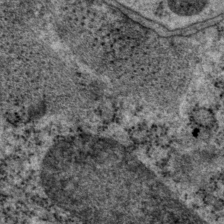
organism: P. pacificus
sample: Pharynx